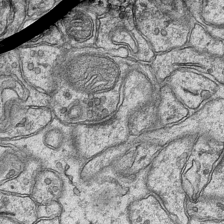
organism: Mouse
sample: CA1 Hippocampus